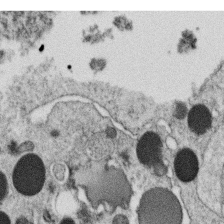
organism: C. elegans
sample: C. elegans oocyte; sperm cells